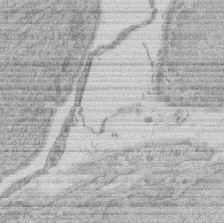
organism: Rat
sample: Salivary granule